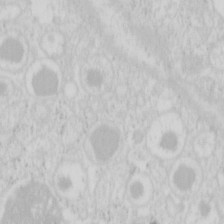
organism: Mouse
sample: Pancreas